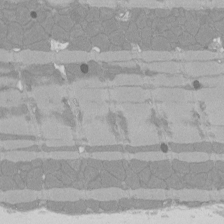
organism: Rat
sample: Left ventricle